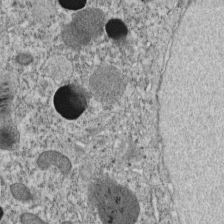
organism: C. elegans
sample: C. elegans embryo early stage